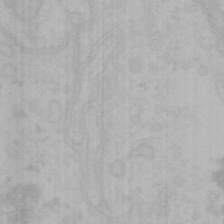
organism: Mouse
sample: Choroid plexus